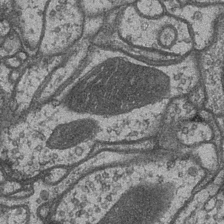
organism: Drosophila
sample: Optic medulla